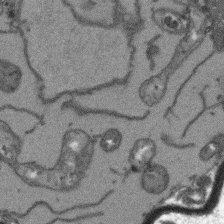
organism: Arabidopsis thaliana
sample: Root tip